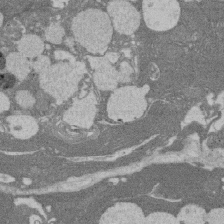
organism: Rat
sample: Salivary granule